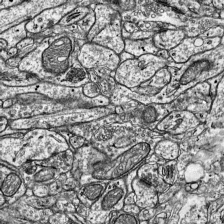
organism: Mouse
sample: Visual Cortex